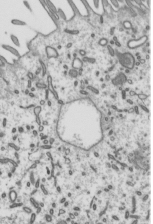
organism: Mouse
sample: Mouse epididymis efferent ductule cilia